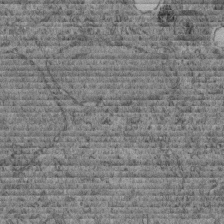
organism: C. elegans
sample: C. elegans embryo early stage